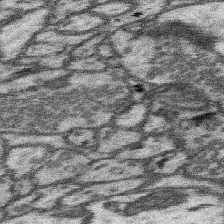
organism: Mouse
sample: Somatosensory cortex neuropil